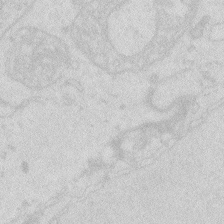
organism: Zebrafish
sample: Macrophage